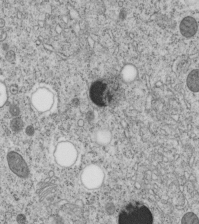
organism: C. elegans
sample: C. elegans embryo early stage